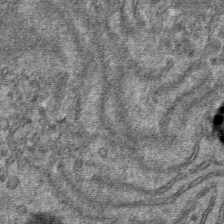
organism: Mouse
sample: Mouse hepatocytes